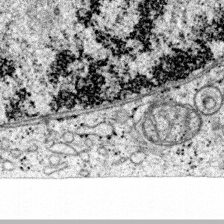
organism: Human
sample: HeLa cells